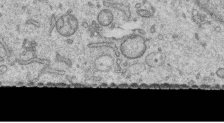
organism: Human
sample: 1205lu cells